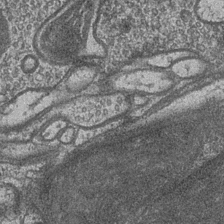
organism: Drosophila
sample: Optic medulla